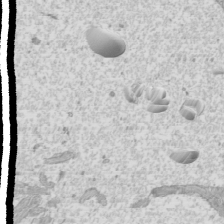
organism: Mouse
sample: Cilia; mouse epididymis